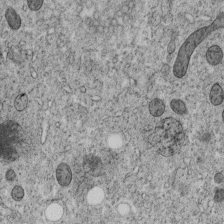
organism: C. elegans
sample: C. elegans embryo early stage